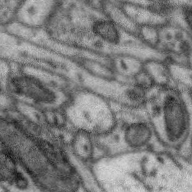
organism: Zebra finch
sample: Brain